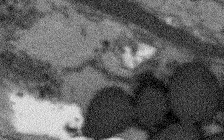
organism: Arabidopsis thaliana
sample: Root tip